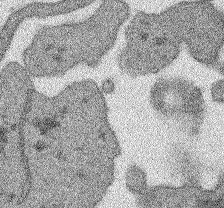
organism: Human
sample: HeLa cells